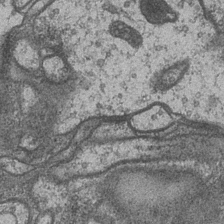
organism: Drosophila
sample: Optic medulla